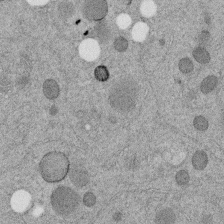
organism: C. elegans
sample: C. elegans embryo early stage